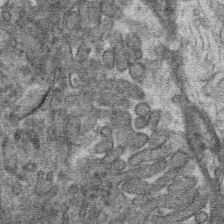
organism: Mouse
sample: Mouse hepatocytes